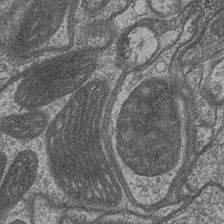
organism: Drosophila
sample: Optic medulla